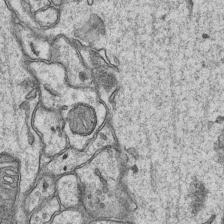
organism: Mouse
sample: CA1 Hippocampus